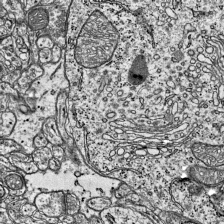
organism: Mouse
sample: Visual Cortex